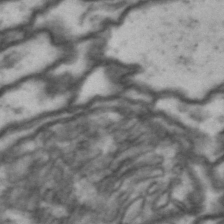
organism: Drosophila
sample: Brain